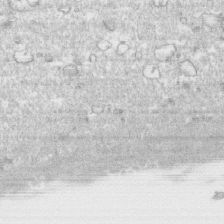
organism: Human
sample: CRL-1474